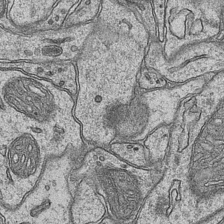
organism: Mouse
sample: CA1 Hippocampus